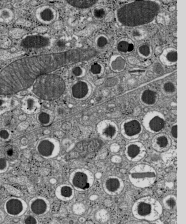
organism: C57BL Mouse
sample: Pancreatic islet